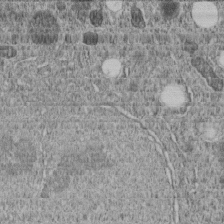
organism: C. elegans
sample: C. elegans embryo early stage